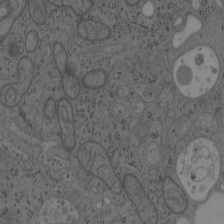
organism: Mouse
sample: OT-I killer T cells with ID8 ovarian cancer cells